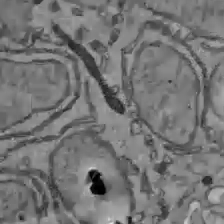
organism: C57BL Mouse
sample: Liver